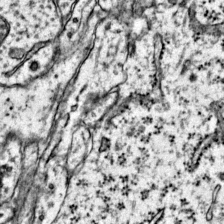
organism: Mouse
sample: Primary visual cortex